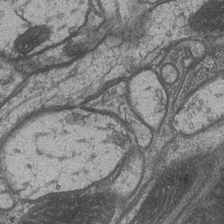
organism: Drosophila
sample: Optic medulla